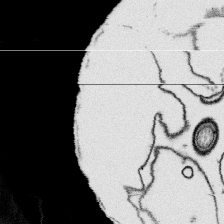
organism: Platynereis dumerilii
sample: Parapodia